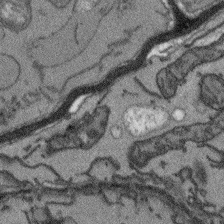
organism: Arabidopsis thaliana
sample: Root tip